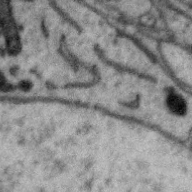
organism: Zebra finch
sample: Brain